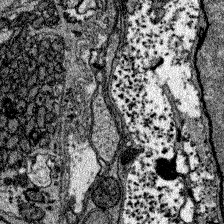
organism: Zebrafish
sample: Larval olfactory bulb